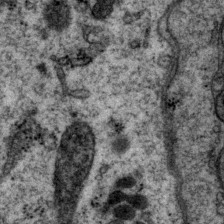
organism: P. pacificus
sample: Pharynx